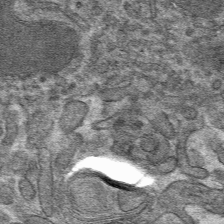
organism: Mouse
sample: Mouse hepatocytes